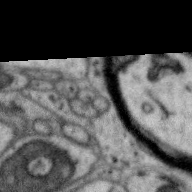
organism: Zebra finch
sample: Brain